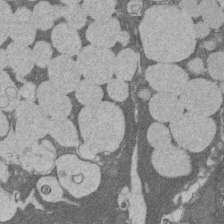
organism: Rat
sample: Salivary granule